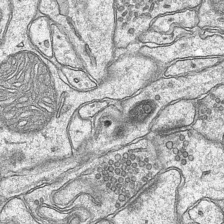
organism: Mouse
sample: CA1 Hippocampus